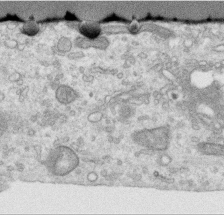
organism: Human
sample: Centriole in RPE cells